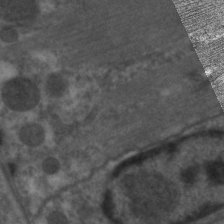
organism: C. elegans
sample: Pharynx